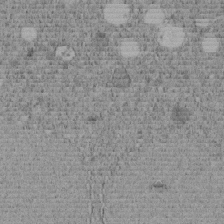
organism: C. elegans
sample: C. elegans embryo early stage